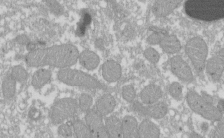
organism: Xenopus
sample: Cilia; centrioles in frog embryo cells